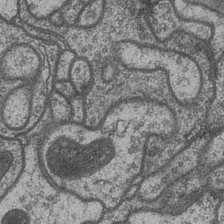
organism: Drosophila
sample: Optic medulla